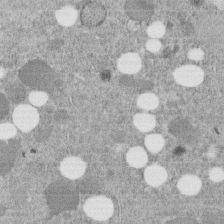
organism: C. elegans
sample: C. elegans embryo early stage